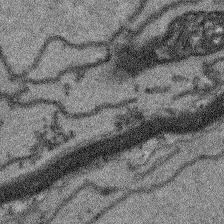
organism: Arabidopsis thaliana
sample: Root tip